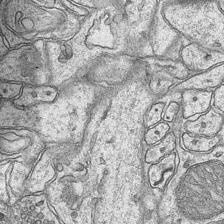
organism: Mouse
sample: CA1 Hippocampus